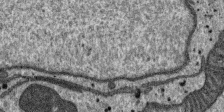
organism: Human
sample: Lung epithelial cells, uninfected (mock) control